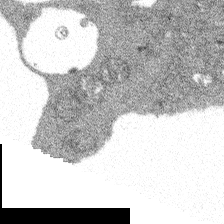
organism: Spongilla lacustris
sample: Multiple